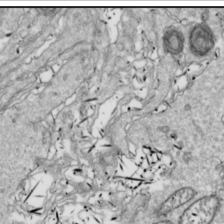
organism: Drosophila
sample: Cell division; meiosis; drosophila spermatocytes